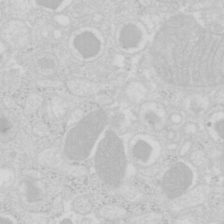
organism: Mouse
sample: Pancreas